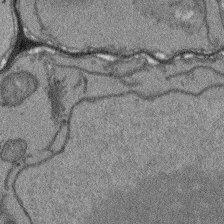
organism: Arabidopsis thaliana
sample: Root tip